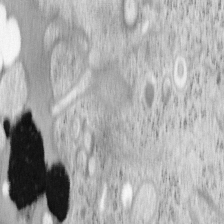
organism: Human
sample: HeLa cells